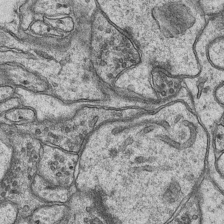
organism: Mouse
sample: CA1 Hippocampus